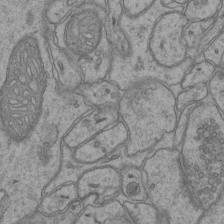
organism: Mouse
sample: CA1 Hippocampus